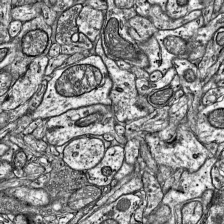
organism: Mouse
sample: Visual Cortex